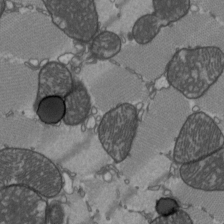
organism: C57BL Mouse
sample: Heart